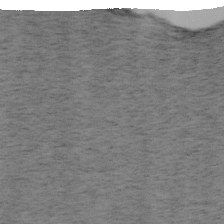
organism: Mouse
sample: OT-I killer T cells with ID8 ovarian cancer cells